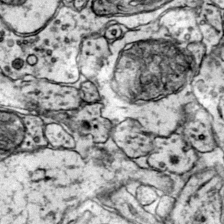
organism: Mouse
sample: Primary visual cortex